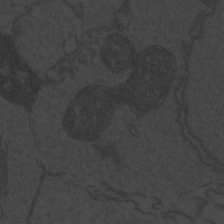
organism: Zebrafish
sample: Macrophage infected with Toxoplasma gondii